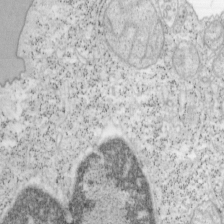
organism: Mouse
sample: OT-I killer T cells with ID8 ovarian cancer cells